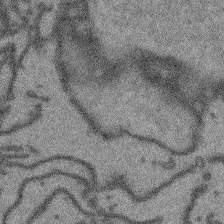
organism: Arabidopsis thaliana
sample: Root tip